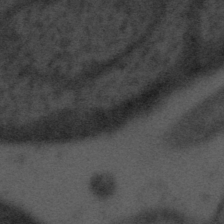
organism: Tuwongella immobilis